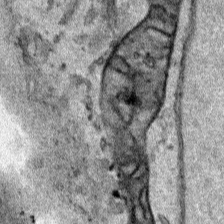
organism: Human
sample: Mitochondria in HCT116 cells